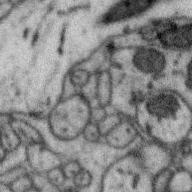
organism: Zebra finch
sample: Brain